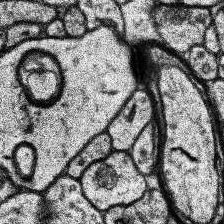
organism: Human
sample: Temporal Lobe